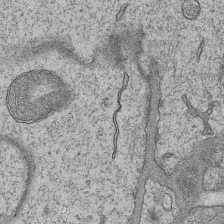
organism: Mouse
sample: CA1 Hippocampus